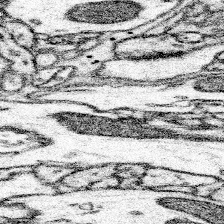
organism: Mouse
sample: Somatosensory cortex neuropil